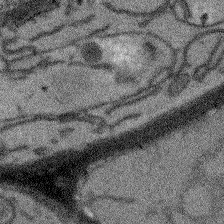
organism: Arabidopsis thaliana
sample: Root tip